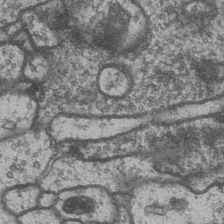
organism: Drosophila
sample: Optic medulla